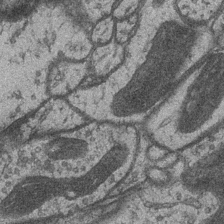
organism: Drosophila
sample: Optic medulla